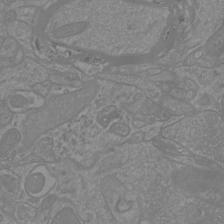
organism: Mouse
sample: Cortical neurons